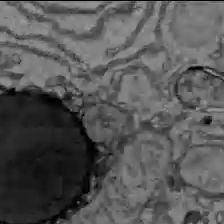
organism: C57BL Mouse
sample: Liver